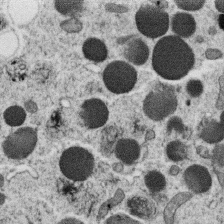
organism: C. elegans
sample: C. elegans oocyte; sperm cells